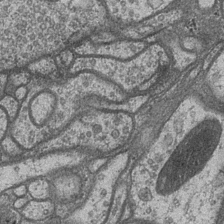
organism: Drosophila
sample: Optic medulla